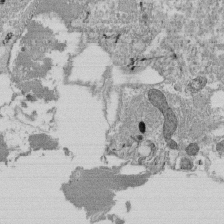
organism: Tetrahymena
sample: Cilia in tetrahymena